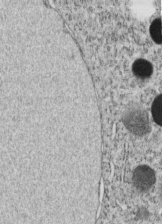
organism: C. elegans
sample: C. elegans embryo early stage